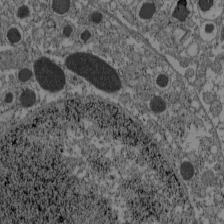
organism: C57BL Mouse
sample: Pancreatic islet